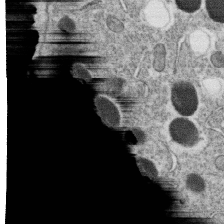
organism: C. elegans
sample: C. elegans oocyte; sperm cells